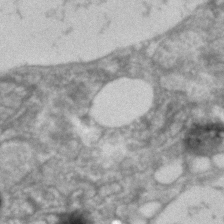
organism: Human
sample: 1205lu cells